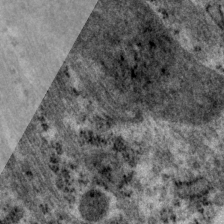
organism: P. pacificus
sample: Pharynx